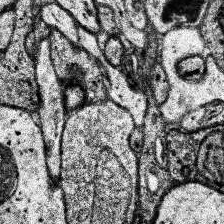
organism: Human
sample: Temporal Lobe